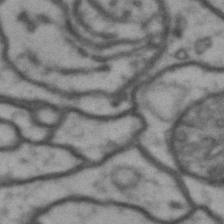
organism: Drosophila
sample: Brain